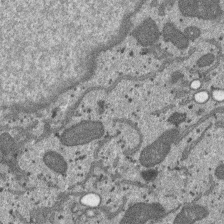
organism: Human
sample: Lung epithelial cells infected with SARS-CoV-2